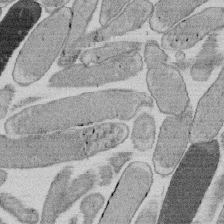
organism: E. coli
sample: Bacterial nucleoid